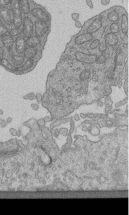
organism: Human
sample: Retinal organoid Rod and Cone cells